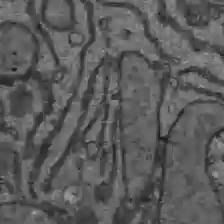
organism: C57BL Mouse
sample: Liver